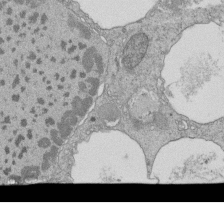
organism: Tetrahymena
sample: Cilia in tetrahymena